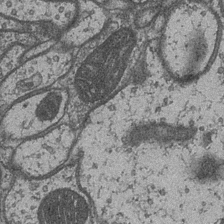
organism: Drosophila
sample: Optic medulla